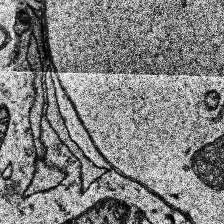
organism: Human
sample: Temporal Lobe